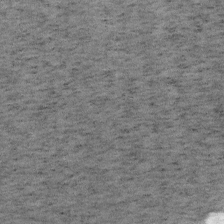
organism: Mouse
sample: OT-I killer T cells with ID8 ovarian cancer cells